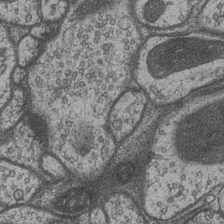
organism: Drosophila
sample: Optic medulla